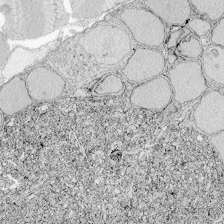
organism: Zebrafish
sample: Whole-Brain